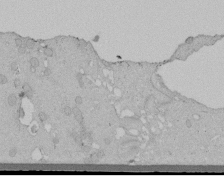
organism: Human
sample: Melanocyte Keratinocyte synapse skin construct